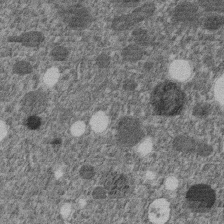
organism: C. elegans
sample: C. elegans embryo early stage